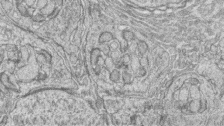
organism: Zebrafish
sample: synaptic ribbons in rod cells and cone cells